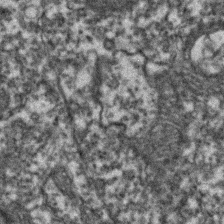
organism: Zebrafish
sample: Zebrafish embryo